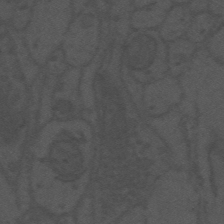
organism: Mouse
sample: Suprachiasmatic nucleus